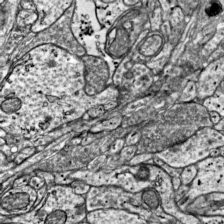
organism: Mouse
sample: Visual Cortex